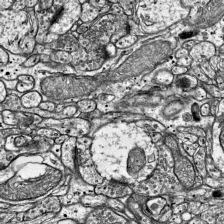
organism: Mouse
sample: Visual Cortex